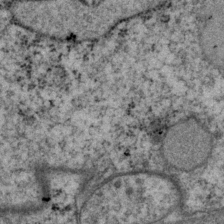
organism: P. pacificus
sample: Pharynx